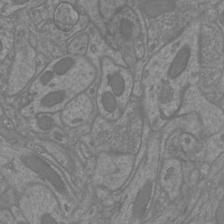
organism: Mouse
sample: Cortical neurons